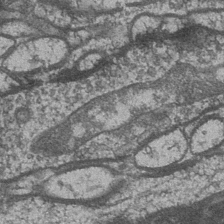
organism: Drosophila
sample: Optic medulla